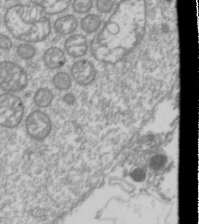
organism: Drosophila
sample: Cell division; meiosis; drosophila spermatocytes